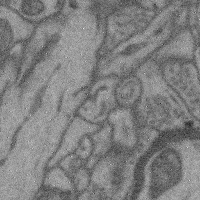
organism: Mouse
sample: Cerebral cortex